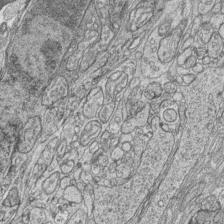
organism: Zebrafish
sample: synaptic ribbons in rod cells and cone cells